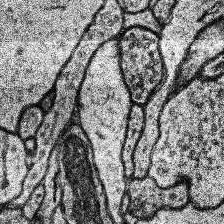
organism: Human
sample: Temporal Lobe